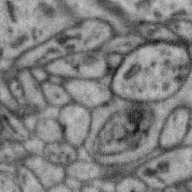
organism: Zebra finch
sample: Brain